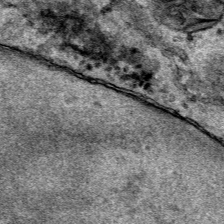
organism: Human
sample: Mitochondria in HCT116 cells